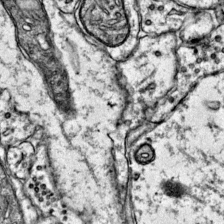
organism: Mouse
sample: Primary visual cortex